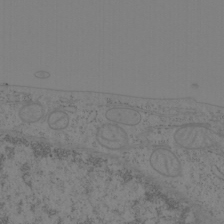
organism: Human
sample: HeLa cells